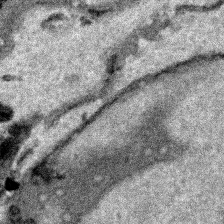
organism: Human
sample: Mitochondria in HCT116 cells